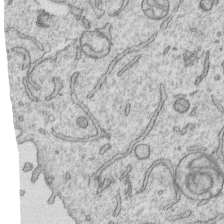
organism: Human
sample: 1205lu cells